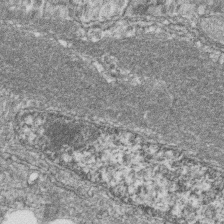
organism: Zebrafish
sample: Cilia; retinal pigment epithelium